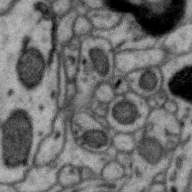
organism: Zebra finch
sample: Brain